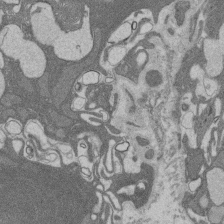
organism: Rat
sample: Salivary granule